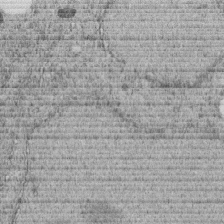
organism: C. elegans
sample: C. elegans embryo early stage